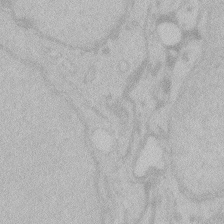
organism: Zebrafish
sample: Macrophage infected with Toxoplasma gondii